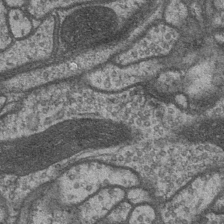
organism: Drosophila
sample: Optic medulla